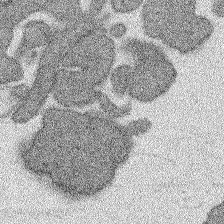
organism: Human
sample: HeLa cells